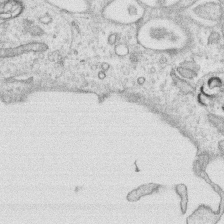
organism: Human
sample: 1205lu cells